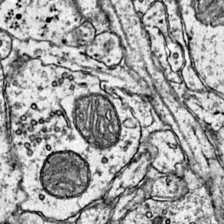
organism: Mouse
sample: Primary visual cortex